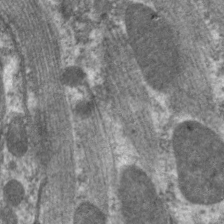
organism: C. elegans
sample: Pharynx